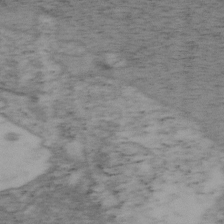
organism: Mouse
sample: OT-I killer T cells with ID8 ovarian cancer cells